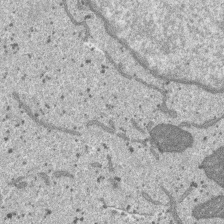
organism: Human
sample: Lung epithelial cells infected with SARS-CoV-2